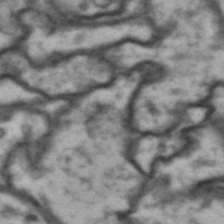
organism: Drosophila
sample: Brain